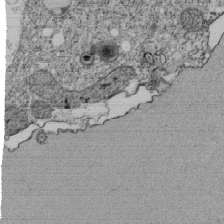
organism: Tetrahymena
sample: Cilia in tetrahymena